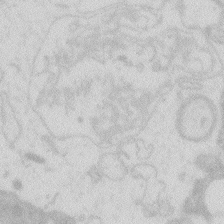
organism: Zebrafish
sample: Macrophage